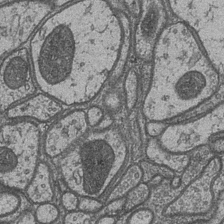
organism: Drosophila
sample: Optic medulla